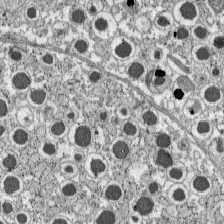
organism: C57BL Mouse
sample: Pancreatic islet